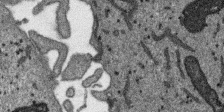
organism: Human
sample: Lung epithelial cells infected with SARS-CoV-2